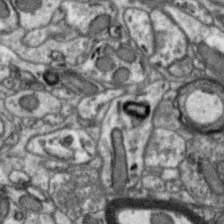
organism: Zebra finch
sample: Brain